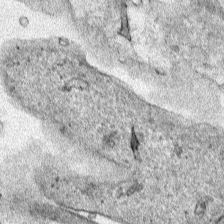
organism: Human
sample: Mitochondria in HCT116 cells